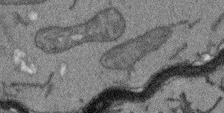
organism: Arabidopsis thaliana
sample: Root tip